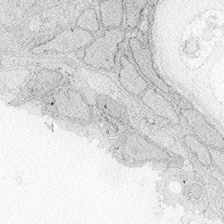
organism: Zebrafish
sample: Whole-Brain